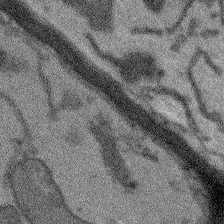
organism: Arabidopsis thaliana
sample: Root tip